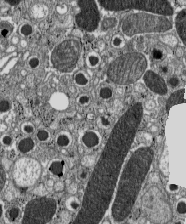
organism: C57BL Mouse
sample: Pancreatic islet